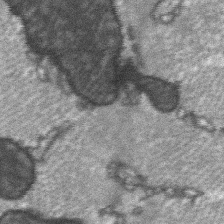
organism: C57BL Mouse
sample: Soleus